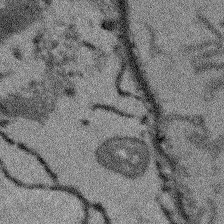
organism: Arabidopsis thaliana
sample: Root tip